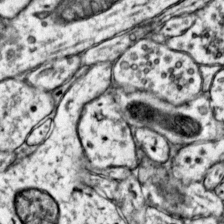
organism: Mouse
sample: Primary visual cortex